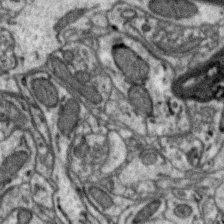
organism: Zebra finch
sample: Brain